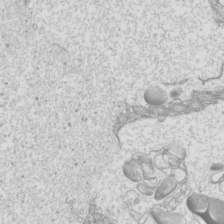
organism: Mouse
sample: Cilia; mouse epididymis